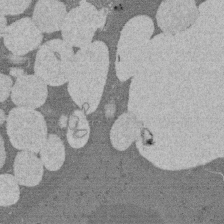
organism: Rat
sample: Salivary granule